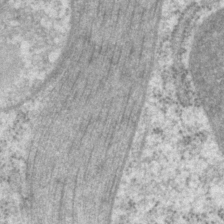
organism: P. pacificus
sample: Pharynx